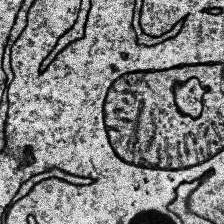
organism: Human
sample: Temporal Lobe